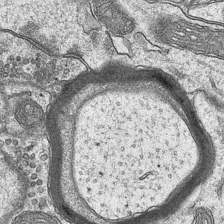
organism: Mouse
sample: CA1 Hippocampus